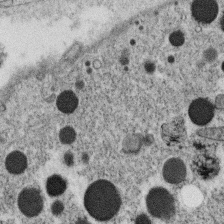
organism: C. elegans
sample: C. elegans oocyte; sperm cells